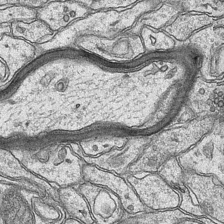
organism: Mouse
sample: CA1 Hippocampus